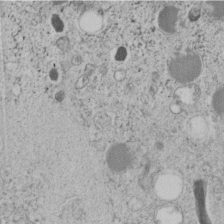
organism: C. elegans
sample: C. elegans embryo early stage